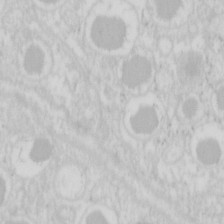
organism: Mouse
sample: Pancreas